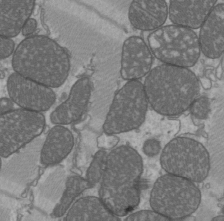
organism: C57BL Mouse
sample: Heart